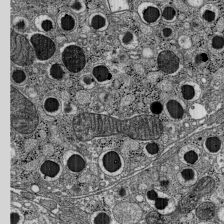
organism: C57BL Mouse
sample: Pancreatic islet